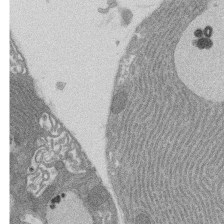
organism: Rat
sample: Salivary granule